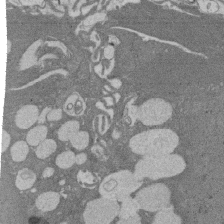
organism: Rat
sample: Salivary granule